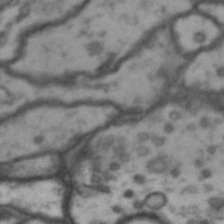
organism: Drosophila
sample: Brain